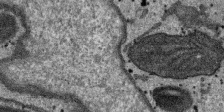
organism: Human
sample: Lung epithelial cells, uninfected (mock) control